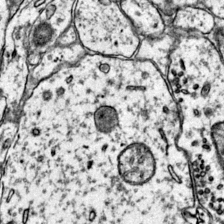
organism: Mouse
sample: Primary visual cortex